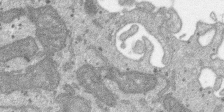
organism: Human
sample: Lung epithelial cells infected with SARS-CoV-2